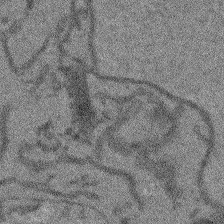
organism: Arabidopsis thaliana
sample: Root tip